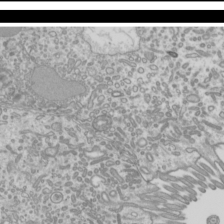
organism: Mouse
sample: Cilia; mouse epididymis